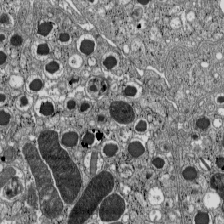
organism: C57BL Mouse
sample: Pancreatic islet